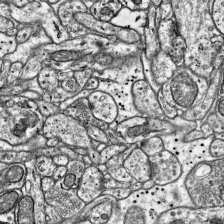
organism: Mouse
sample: Visual Cortex